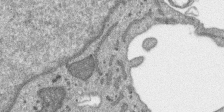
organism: Human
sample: Lung epithelial cells infected with SARS-CoV-2